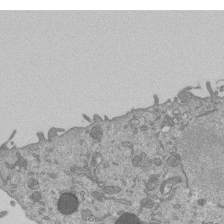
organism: Mouse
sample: ED-1 cell nuclei; centrioles